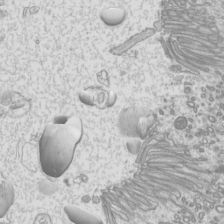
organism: Mouse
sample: Cilia; mouse epididymis